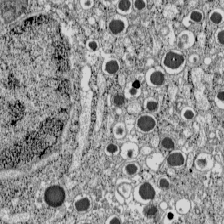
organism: C57BL Mouse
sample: Pancreatic islet